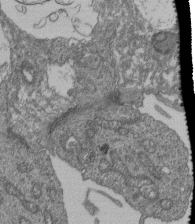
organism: Human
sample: Retinal organoid Rod and Cone cells